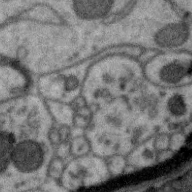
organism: Zebra finch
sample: Brain